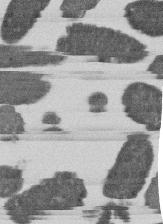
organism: E. coli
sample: Bacterial nucleoid